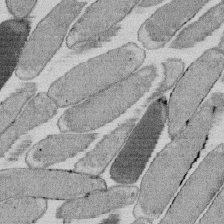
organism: E. coli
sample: Bacterial nucleoid